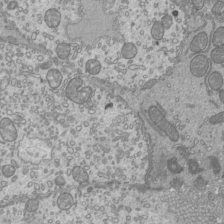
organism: Mouse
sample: Cilia; mouse epididymis